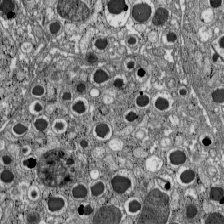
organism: C57BL Mouse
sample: Pancreatic islet